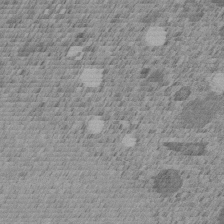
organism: C. elegans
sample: C. elegans embryo early stage